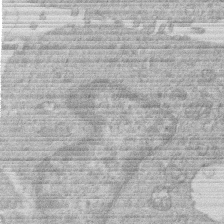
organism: Human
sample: Macrophage cells